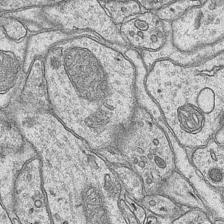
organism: Mouse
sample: CA1 Hippocampus